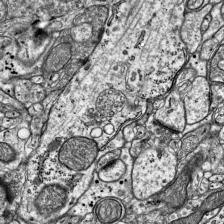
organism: Mouse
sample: Visual Cortex